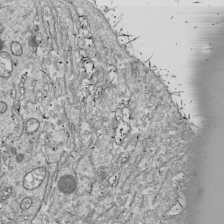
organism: Drosophila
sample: Cell division; meiosis; drosophila spermatocytes